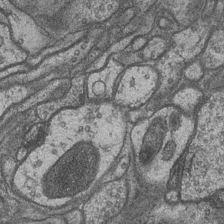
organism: Drosophila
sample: Optic medulla